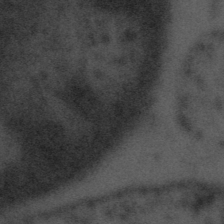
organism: Tuwongella immobilis